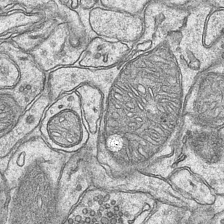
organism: Mouse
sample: CA1 Hippocampus